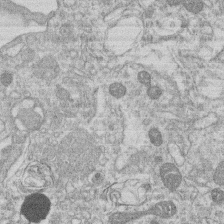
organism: Human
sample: Macrophage cells